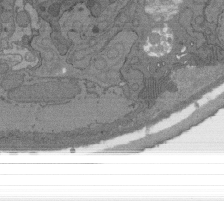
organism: C. elegans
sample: AFD neurons C. elegans